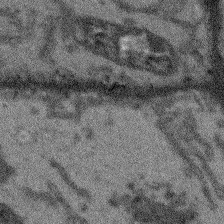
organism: Arabidopsis thaliana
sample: Root tip